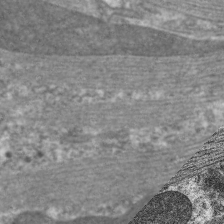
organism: C. elegans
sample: Pharynx